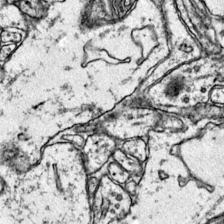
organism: Mouse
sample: Primary visual cortex